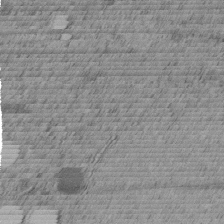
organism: C. elegans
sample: C. elegans embryo early stage